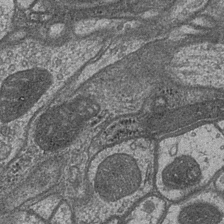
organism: Drosophila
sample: Optic medulla